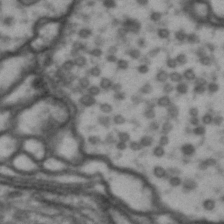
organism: Drosophila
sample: Brain